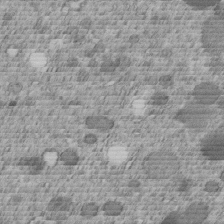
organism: C. elegans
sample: C. elegans embryo early stage